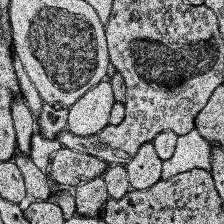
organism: Human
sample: Temporal Lobe